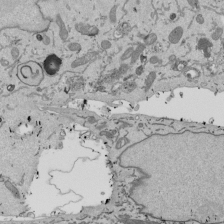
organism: Mouse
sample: ED-1 cell nuclei; centrioles